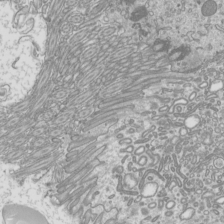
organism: Mouse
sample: Cilia; mouse epididymis